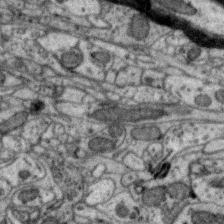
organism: Zebra finch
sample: Brain